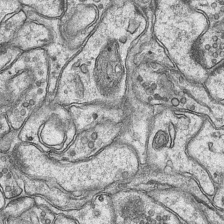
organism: Mouse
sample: CA1 Hippocampus